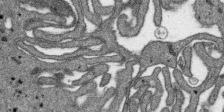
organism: Human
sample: Lung epithelial cells, uninfected (mock) control